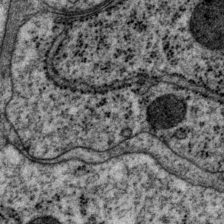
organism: P. pacificus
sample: Pharynx